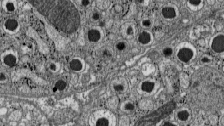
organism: C57BL Mouse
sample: Pancreatic islet